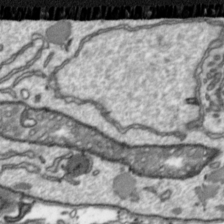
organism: Toxoplasma gondii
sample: Parasites in a vacuole inside a host cell